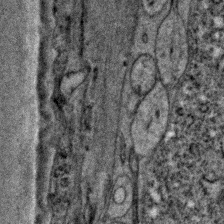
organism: C. elegans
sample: C. elegans embryo